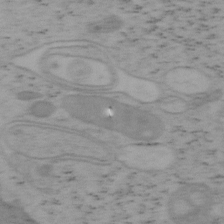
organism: Mouse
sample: OT-I killer T cells with ID8 ovarian cancer cells